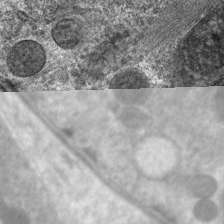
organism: C. elegans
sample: Pharynx